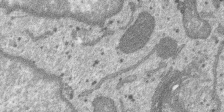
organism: Human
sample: Lung epithelial cells infected with SARS-CoV-2